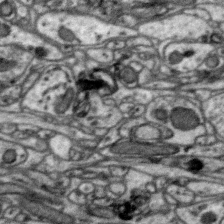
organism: Zebra finch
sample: Brain